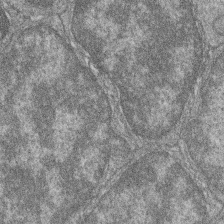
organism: Zebrafish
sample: Cilia; retinal pigment epithelium